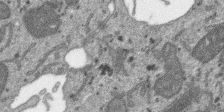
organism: Human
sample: Lung epithelial cells infected with SARS-CoV-2